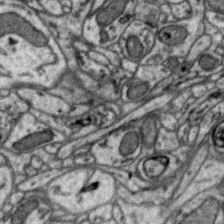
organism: Zebra finch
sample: Brain